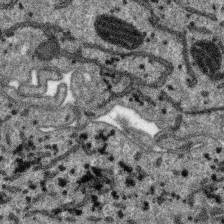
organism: Human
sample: Lung epithelial cells infected with SARS-CoV-2